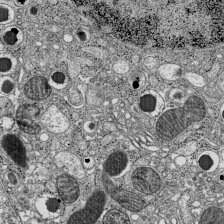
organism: C57BL Mouse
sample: Pancreatic islet